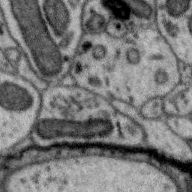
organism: Zebra finch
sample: Brain